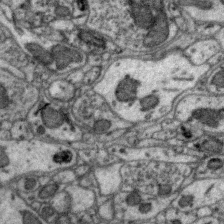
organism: Zebra finch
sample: Brain